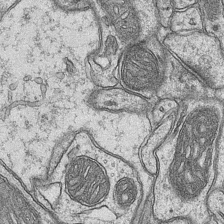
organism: Mouse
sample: CA1 Hippocampus